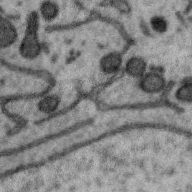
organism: Zebra finch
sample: Brain